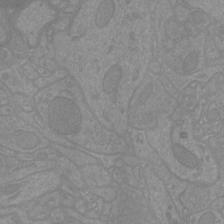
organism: Mouse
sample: Cortical neurons